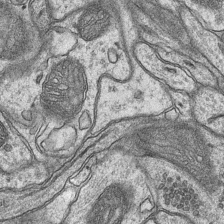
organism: Mouse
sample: CA1 Hippocampus